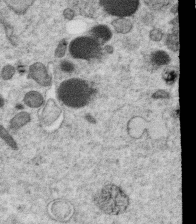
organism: C. elegans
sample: C. elegans oocyte; sperm cells